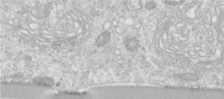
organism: Human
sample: Centriole in RPE cells